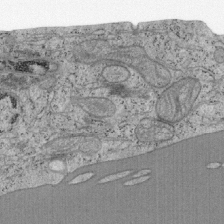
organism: Human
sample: HeLa cells